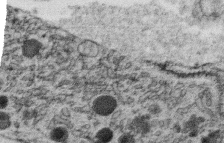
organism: C. elegans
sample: C. elegans oocyte; sperm cells